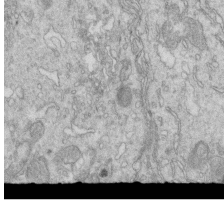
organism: Mouse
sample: Multiciliated cells